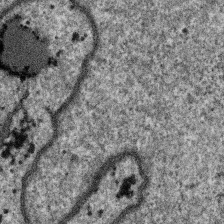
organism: Human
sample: Lung epithelial cells infected with SARS-CoV-2